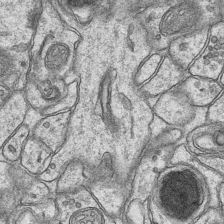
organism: Mouse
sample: CA1 Hippocampus